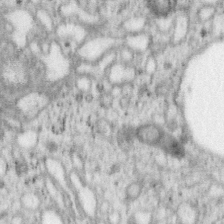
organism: Mouse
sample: OT-I killer T cells with ID8 ovarian cancer cells